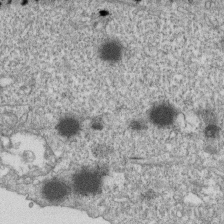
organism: Human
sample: HeLa cell HIV synapse